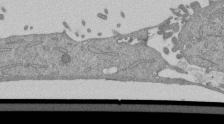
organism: Mouse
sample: ED-1 cell nuclei; centrioles